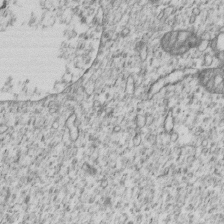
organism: Human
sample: MDA-MB-231 cells